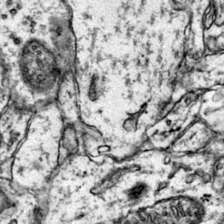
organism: Mouse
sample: Primary visual cortex